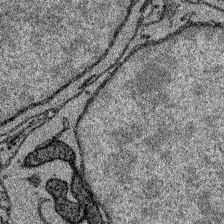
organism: Zebrafish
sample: Larval olfactory bulb